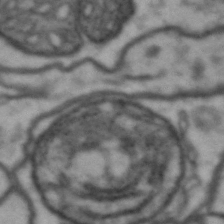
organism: Drosophila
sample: Brain